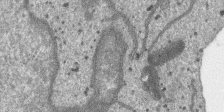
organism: Human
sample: Lung epithelial cells infected with SARS-CoV-2